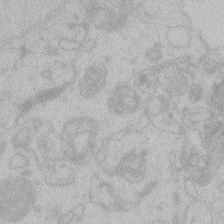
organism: Zebrafish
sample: Macrophage infected with Toxoplasma gondii